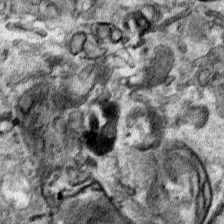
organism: Human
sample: Mitochondria in HCT116 cells